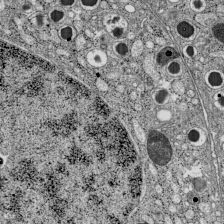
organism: C57BL Mouse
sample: Pancreatic islet